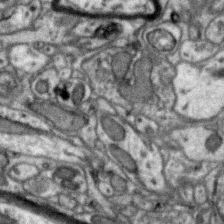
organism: Zebra finch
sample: Brain